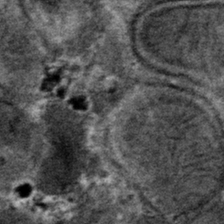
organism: Mouse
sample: Mouse hepatocytes